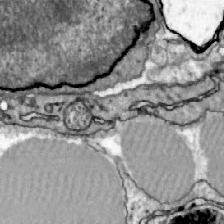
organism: Zebrafish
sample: Actinotrichia fibers